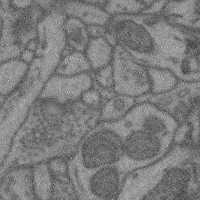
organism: Mouse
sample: Cerebral cortex